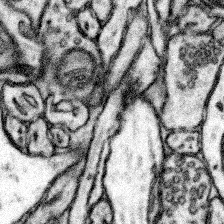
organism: Mouse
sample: Somatosensory cortex neuropil